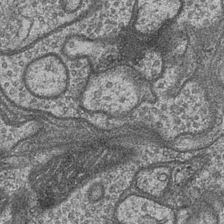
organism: Drosophila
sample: Optic medulla